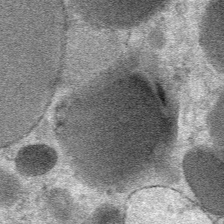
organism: Mouse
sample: Mouse Salivary gland